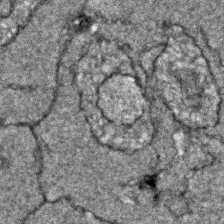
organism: Zebrafish